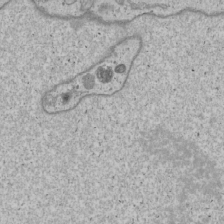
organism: Human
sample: Mitochondria in U2OS cells